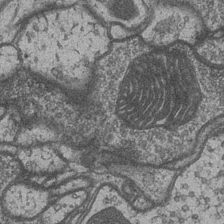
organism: Drosophila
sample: Optic medulla